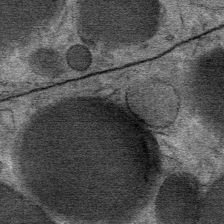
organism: Mouse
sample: Mouse Salivary gland